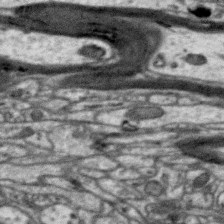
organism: Zebra finch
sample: Brain